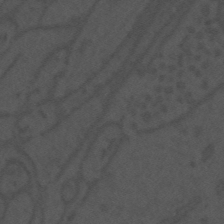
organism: Mouse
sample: Suprachiasmatic nucleus